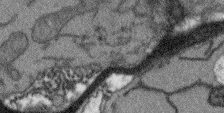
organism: Arabidopsis thaliana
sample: Root tip